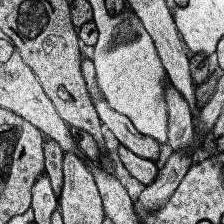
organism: Human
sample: Temporal Lobe